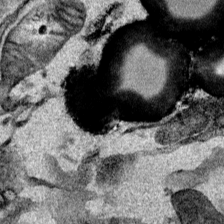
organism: Mouse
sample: Cancer cell death in ED-1 cells